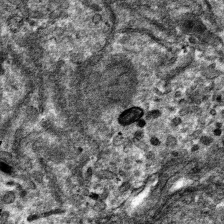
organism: Mouse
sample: Mouse hepatocytes